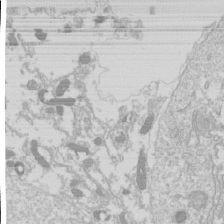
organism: Drosophila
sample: Cell division; meiosis; drosophila spermatocytes